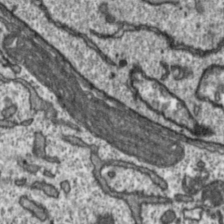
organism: Toxoplasma gondii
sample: Parasites in a vacuole inside a host cell